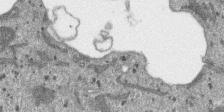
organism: Human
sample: Lung epithelial cells infected with SARS-CoV-2